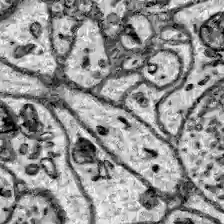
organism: Zebrafish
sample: Brain